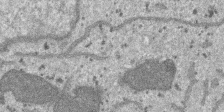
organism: Human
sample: Lung epithelial cells infected with SARS-CoV-2